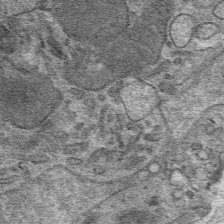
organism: Mouse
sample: Mouse hepatocytes